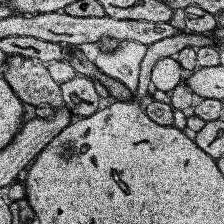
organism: Human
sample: Temporal Lobe